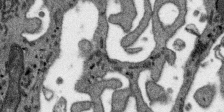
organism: Human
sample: Lung epithelial cells, uninfected (mock) control